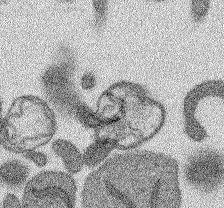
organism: Human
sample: HeLa cells